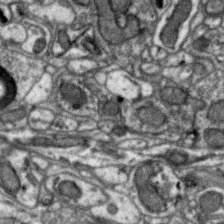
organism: Zebra finch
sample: Brain